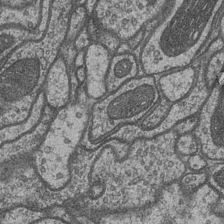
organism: Drosophila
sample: Optic medulla